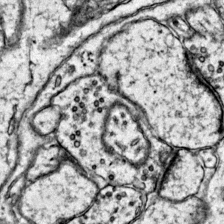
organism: Mouse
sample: Primary visual cortex